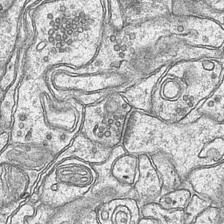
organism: Mouse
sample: CA1 Hippocampus